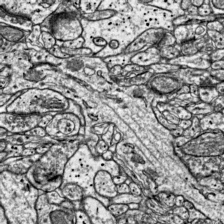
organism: Mouse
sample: Visual Cortex